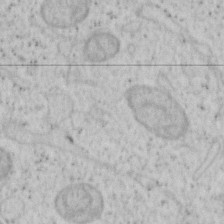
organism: Human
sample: HeLa cells